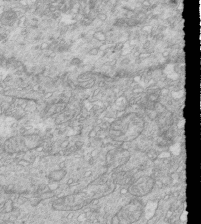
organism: Mouse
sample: Multiciliated cells